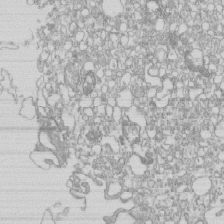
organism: Mouse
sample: Macrophages